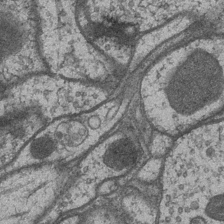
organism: Drosophila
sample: Optic medulla